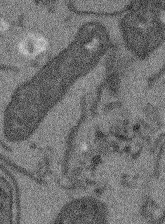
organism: Arabidopsis thaliana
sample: Root tip